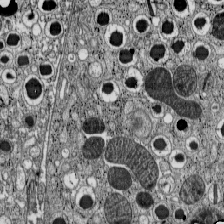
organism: C57BL Mouse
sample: Pancreatic islet